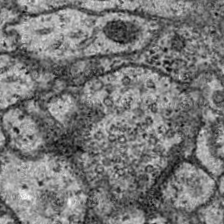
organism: Drosophila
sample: Ventral Nerve Cord